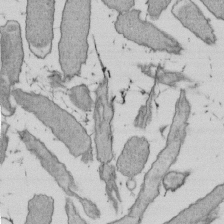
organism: E. coli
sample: Bacterial nucleoid